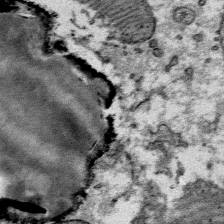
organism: Mouse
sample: Mouse Salivary gland